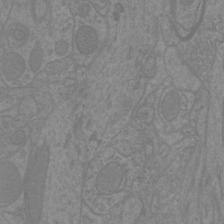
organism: Mouse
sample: Cortical neurons